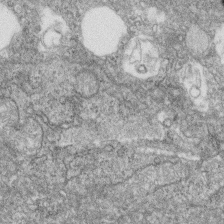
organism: Zebrafish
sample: Cilia; retinal pigment epithelium